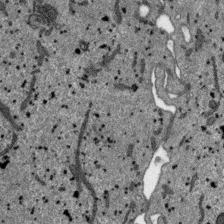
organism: Human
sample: Lung epithelial cells, uninfected (mock) control